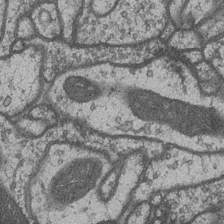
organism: Drosophila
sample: Optic medulla